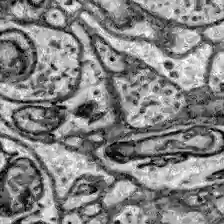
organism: Zebrafish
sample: Brain